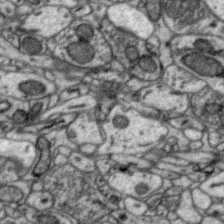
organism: Zebra finch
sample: Brain